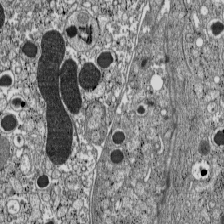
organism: C57BL Mouse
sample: Pancreatic islet